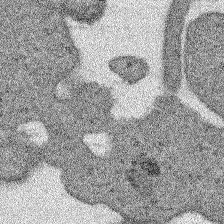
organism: Human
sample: HeLa cells